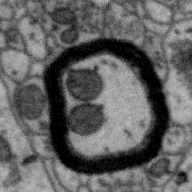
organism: Zebra finch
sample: Brain